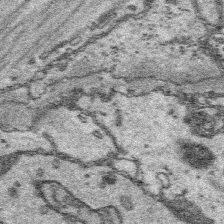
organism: Platynereis dumerilii